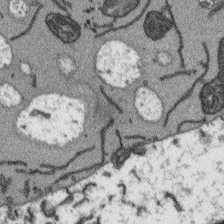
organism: Arabidopsis thaliana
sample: Root tip